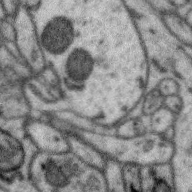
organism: Zebra finch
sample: Brain